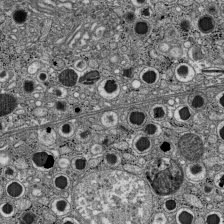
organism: C57BL Mouse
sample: Pancreatic islet